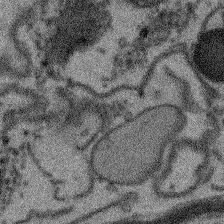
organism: Arabidopsis thaliana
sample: Root tip